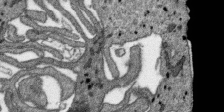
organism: Human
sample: Lung epithelial cells, uninfected (mock) control